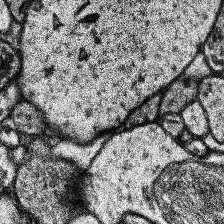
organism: Human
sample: Temporal Lobe